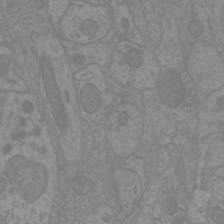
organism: Mouse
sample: Cortical neurons